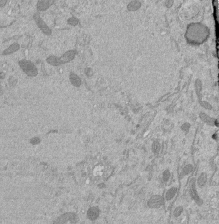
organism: Mouse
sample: ED-1 cell nuclei; centrioles